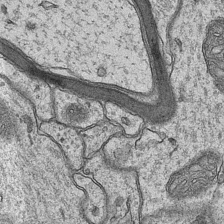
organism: Mouse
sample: CA1 Hippocampus